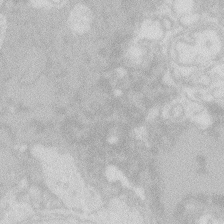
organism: Zebrafish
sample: Macrophage